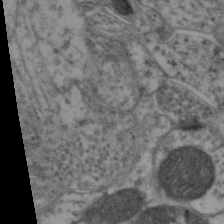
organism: Mouse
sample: Neocortex